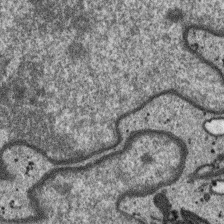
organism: Human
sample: Lung epithelial cells infected with SARS-CoV-2